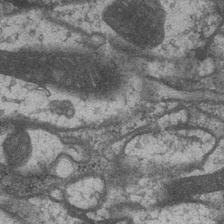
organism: Drosophila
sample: Optic medulla